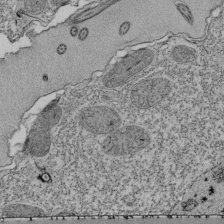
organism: Tetrahymena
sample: Cilia in tetrahymena